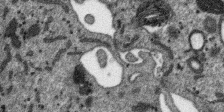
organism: Human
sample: Lung epithelial cells infected with SARS-CoV-2